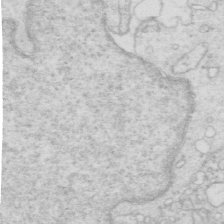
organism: Mouse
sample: Multiciliated cells